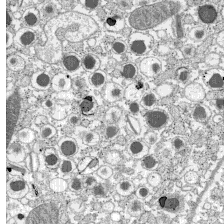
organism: C57BL Mouse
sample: Pancreatic islet